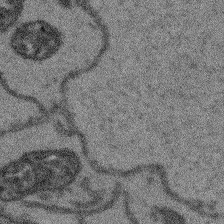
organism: Arabidopsis thaliana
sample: Root tip